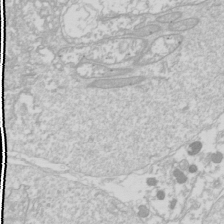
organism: Drosophila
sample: Cell division; meiosis; drosophila spermatocytes